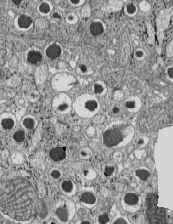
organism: C57BL Mouse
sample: Pancreatic islet